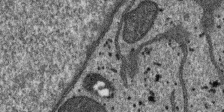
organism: Human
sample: Lung epithelial cells infected with SARS-CoV-2